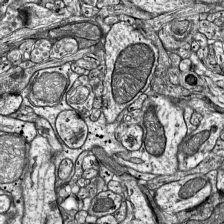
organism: Mouse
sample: Visual Cortex